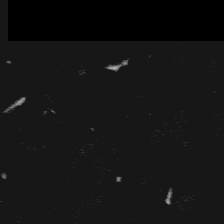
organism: Platynereis dumerilii